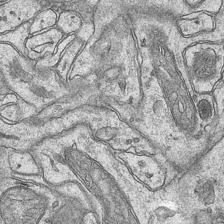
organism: Mouse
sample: CA1 Hippocampus